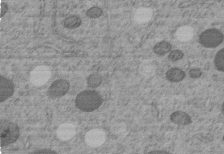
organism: C. elegans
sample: C. elegans embryo early stage